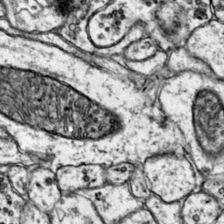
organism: Mouse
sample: Primary visual cortex